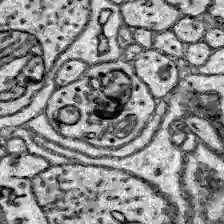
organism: Zebrafish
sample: Brain